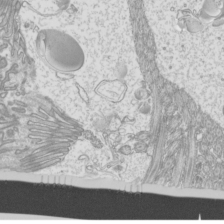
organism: Mouse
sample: Cilia; mouse epididymis